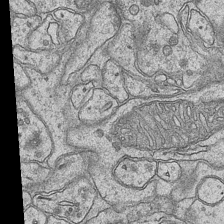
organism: Mouse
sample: CA1 Hippocampus